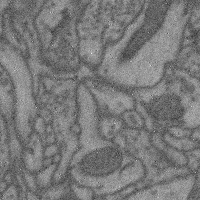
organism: Mouse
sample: Cerebral cortex